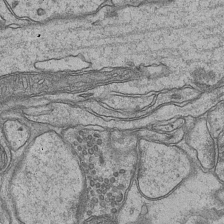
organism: Mouse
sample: CA1 Hippocampus